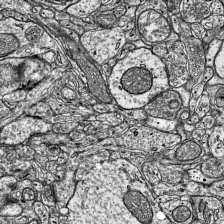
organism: Mouse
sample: Visual Cortex